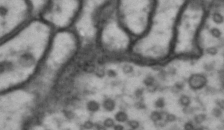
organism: Drosophila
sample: Brain